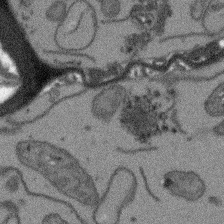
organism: Arabidopsis thaliana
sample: Root tip